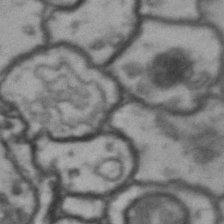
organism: Drosophila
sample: Brain